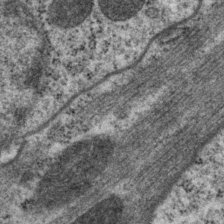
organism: P. pacificus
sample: Pharynx